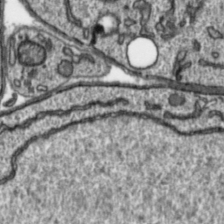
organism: Toxoplasma gondii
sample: Parasites in a vacuole inside a host cell